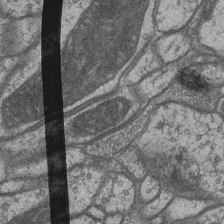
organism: Drosophila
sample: Optic medulla